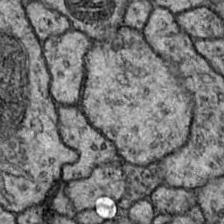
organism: Drosophila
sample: Ventral Nerve Cord